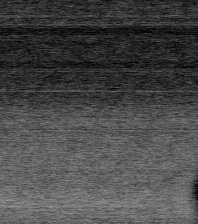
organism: Human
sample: HeLa cells